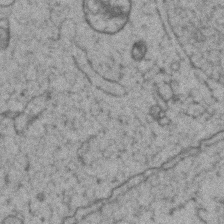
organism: Zebrafish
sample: Zebrafish embryo